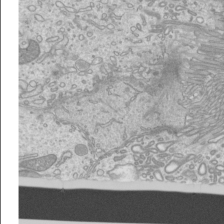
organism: Mouse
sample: Cilia; mouse epididymis